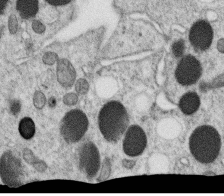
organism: C. elegans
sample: C. elegans oocyte; sperm cells